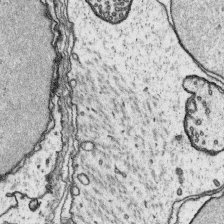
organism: Platynereis dumerilii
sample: Parapodia